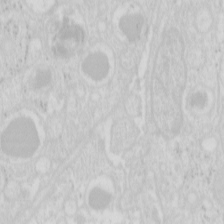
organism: Mouse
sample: Pancreas